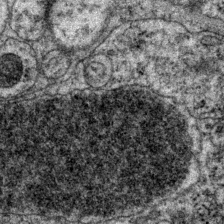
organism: P. pacificus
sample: Pharynx